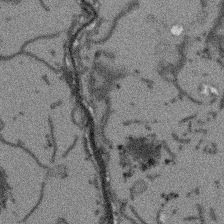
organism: Arabidopsis thaliana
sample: Root tip